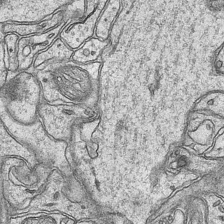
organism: Mouse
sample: CA1 Hippocampus